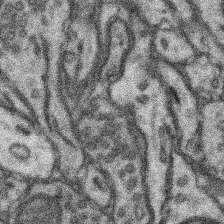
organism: Mouse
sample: Somatosensory cortex neuropil